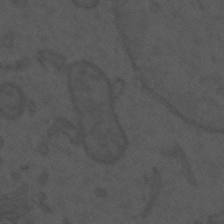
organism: Mouse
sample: Suprachiasmatic nucleus